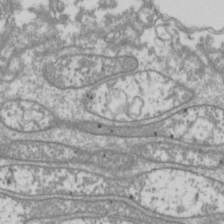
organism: Drosophila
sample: Cell division; meiosis; drosophila spermatocytes